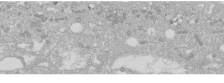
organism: Human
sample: Caco-2 cells